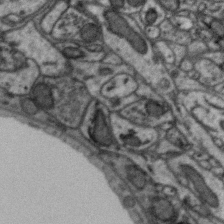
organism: Zebra finch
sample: Brain